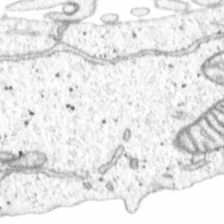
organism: Human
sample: HeLa cells